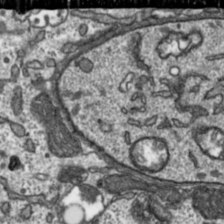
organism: Toxoplasma gondii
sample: Parasites in a vacuole inside a host cell